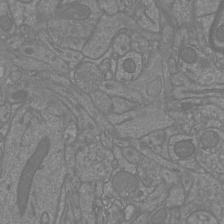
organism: Mouse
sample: Cortical neurons